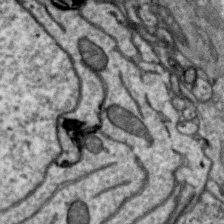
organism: Zebra finch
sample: Brain